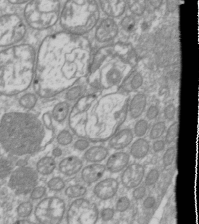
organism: Drosophila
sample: Cell division; meiosis; drosophila spermatocytes